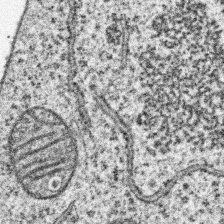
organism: Human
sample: HeLa cells